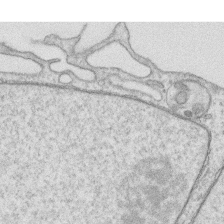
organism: Human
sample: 1205lu cells